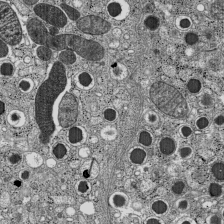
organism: C57BL Mouse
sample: Pancreatic islet